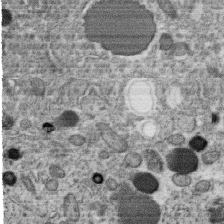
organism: C. elegans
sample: C. elegans oocyte; sperm cells